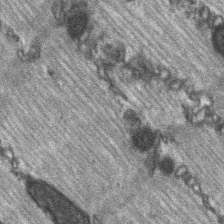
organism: C57BL Mouse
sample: Soleus